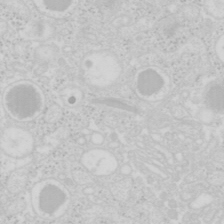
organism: Mouse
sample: Pancreas